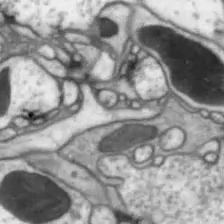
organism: Drosophila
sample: Optic lobe